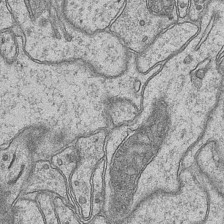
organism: Mouse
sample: CA1 Hippocampus